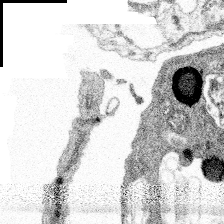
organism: Spongilla lacustris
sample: Multiple